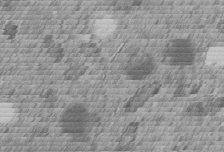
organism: C. elegans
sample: C. elegans embryo early stage